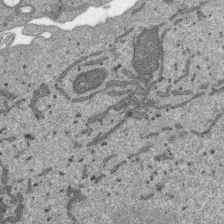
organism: Human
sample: Lung epithelial cells infected with SARS-CoV-2